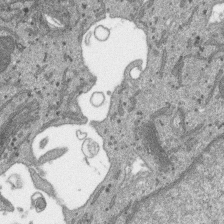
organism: Human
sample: Lung epithelial cells infected with SARS-CoV-2